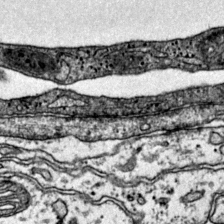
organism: Mouse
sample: Primary visual cortex